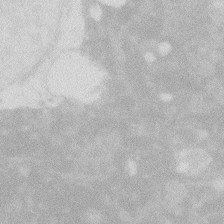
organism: Zebrafish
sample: Macrophage